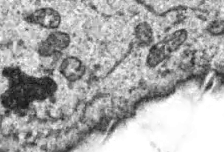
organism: Human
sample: HeLa cells